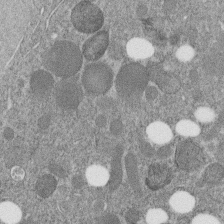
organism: C. elegans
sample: C. elegans embryo early stage